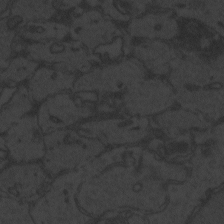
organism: Zebrafish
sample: Macrophage infected with Toxoplasma gondii